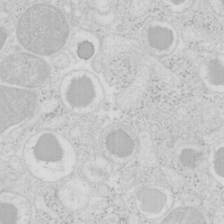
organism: Mouse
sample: Pancreas